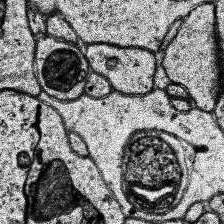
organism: Human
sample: Temporal Lobe